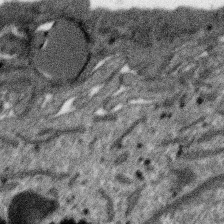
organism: Human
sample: Lung epithelial cells infected with SARS-CoV-2